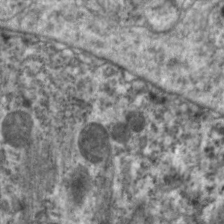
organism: C. elegans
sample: Pharynx